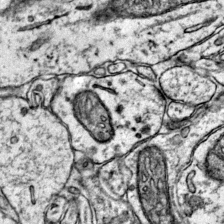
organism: Mouse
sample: Primary visual cortex